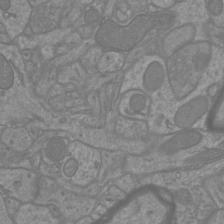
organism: Mouse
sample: Cortical neurons